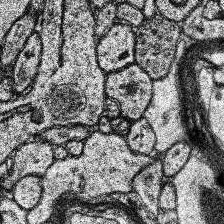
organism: Human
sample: Temporal Lobe